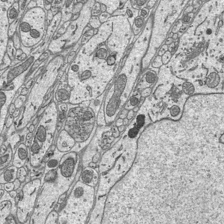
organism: Mouse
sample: Suprachiasmatic nucleus